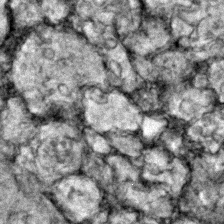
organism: Zebrafish